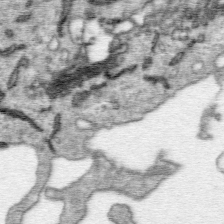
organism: Human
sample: HeLa cells